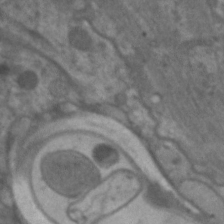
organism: C. elegans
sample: Pharynx